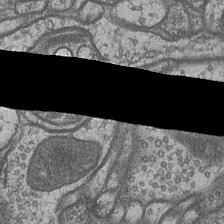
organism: Drosophila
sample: Optic medulla